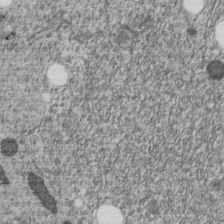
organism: C. elegans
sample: C. elegans embryo early stage